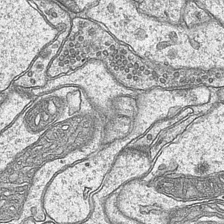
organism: Mouse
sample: CA1 Hippocampus